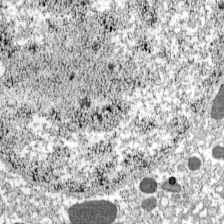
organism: C57BL Mouse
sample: Pancreatic islet